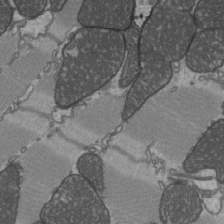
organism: C57BL Mouse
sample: Heart